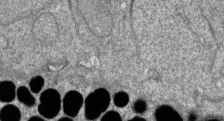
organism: Zebrafish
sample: Cilia; retinal pigment epithelium